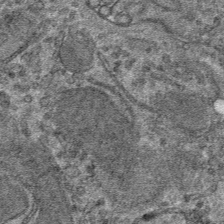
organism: Mouse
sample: Mouse hepatocytes